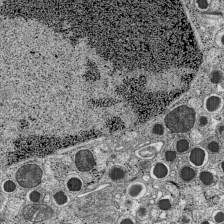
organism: C57BL Mouse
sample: Pancreatic islet